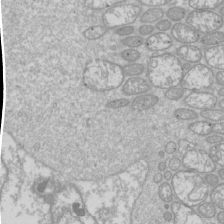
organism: Drosophila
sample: Cell division; meiosis; drosophila spermatocytes